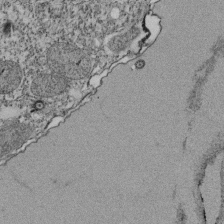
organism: Tetrahymena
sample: Cilia in tetrahymena